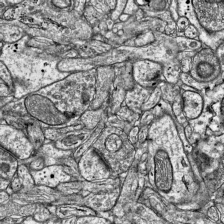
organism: Mouse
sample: Visual Cortex